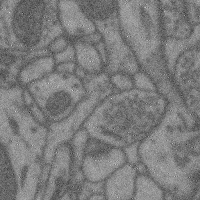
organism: Mouse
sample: Cerebral cortex